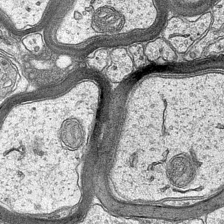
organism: Mouse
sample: CA1 Hippocampus